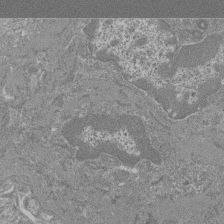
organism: Mouse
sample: Glomerulus